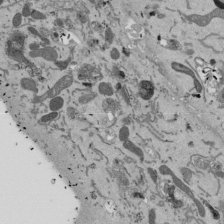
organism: Mouse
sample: ED-1 cell nuclei; centrioles